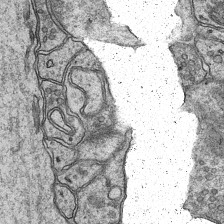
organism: Mouse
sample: CA1 Hippocampus